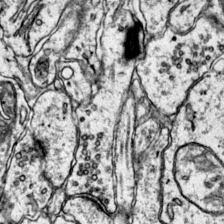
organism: Mouse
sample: Primary visual cortex